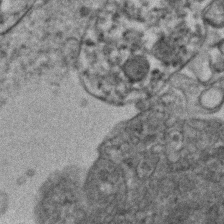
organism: Human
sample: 1205lu cells